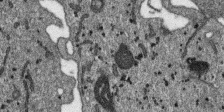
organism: Human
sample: Lung epithelial cells infected with SARS-CoV-2